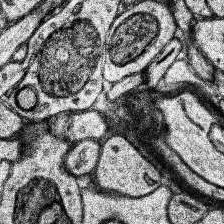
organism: Human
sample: Temporal Lobe